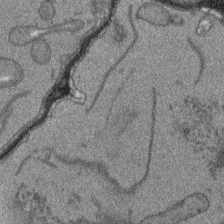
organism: Arabidopsis thaliana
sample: Root tip